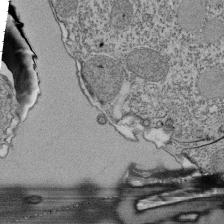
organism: Tetrahymena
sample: Cilia in tetrahymena